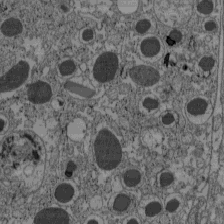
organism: C57BL Mouse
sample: Pancreatic islet